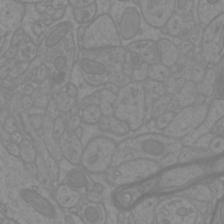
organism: Mouse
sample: Cortical neurons